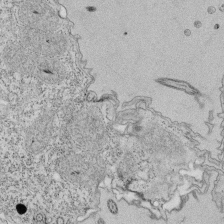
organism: Tetrahymena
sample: Cilia in tetrahymena